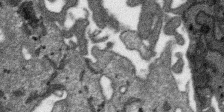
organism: Human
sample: Lung epithelial cells infected with SARS-CoV-2